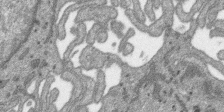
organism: Human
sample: Lung epithelial cells infected with SARS-CoV-2